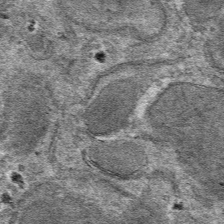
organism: Mouse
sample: Mouse hepatocytes